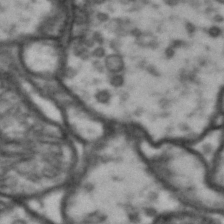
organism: Drosophila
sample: Brain